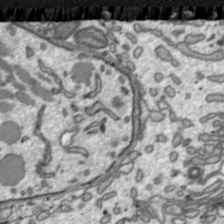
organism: Toxoplasma gondii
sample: Parasites in a vacuole inside a host cell